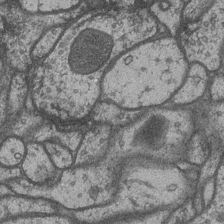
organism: Drosophila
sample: Optic medulla